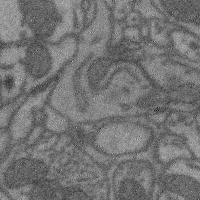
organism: Mouse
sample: Cerebral cortex